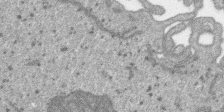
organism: Human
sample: Lung epithelial cells infected with SARS-CoV-2